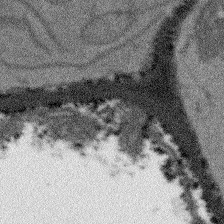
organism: Arabidopsis thaliana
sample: Root tip